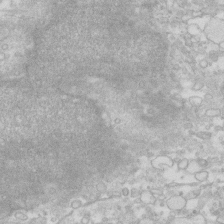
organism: Human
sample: Fibroblast cells